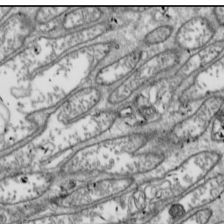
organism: Drosophila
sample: Cell division; meiosis; drosophila spermatocytes